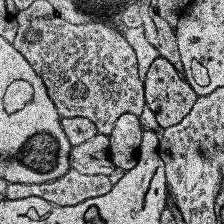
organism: Human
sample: Temporal Lobe